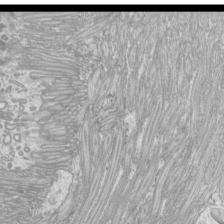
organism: Mouse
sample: Cilia; mouse epididymis